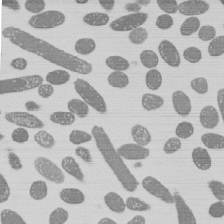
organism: E. coli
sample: Bacterial nucleoid